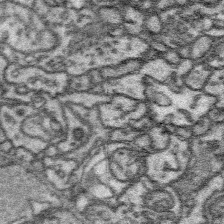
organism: Platynereis dumerilii